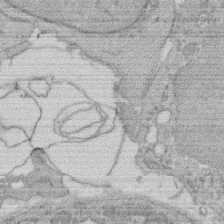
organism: Rat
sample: Salivary granule